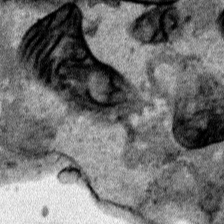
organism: Human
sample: Mitochondria in HCT116 cells